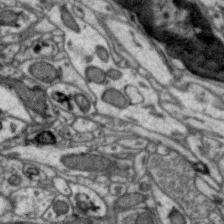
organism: Zebra finch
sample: Brain